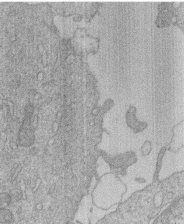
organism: Human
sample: Macrophage cells